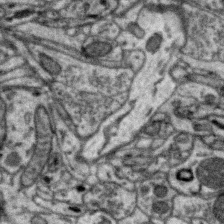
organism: Zebra finch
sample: Brain